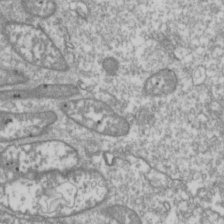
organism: Drosophila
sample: Cell division; meiosis; drosophila spermatocytes